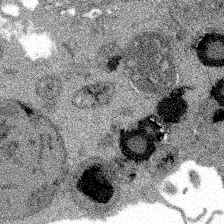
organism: Spongilla lacustris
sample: Multiple